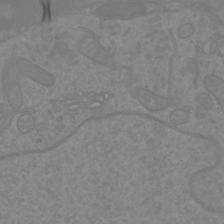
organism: Mouse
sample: Cortical neurons